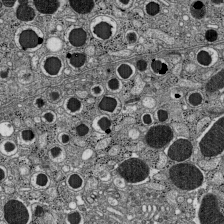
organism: C57BL Mouse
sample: Pancreatic islet